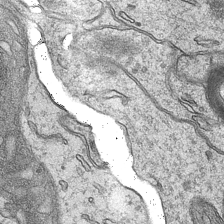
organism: Mouse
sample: CA1 Hippocampus